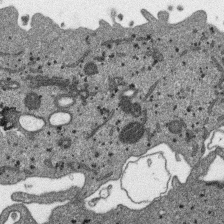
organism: Human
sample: Lung epithelial cells infected with SARS-CoV-2